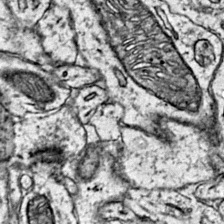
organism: Mouse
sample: Primary visual cortex